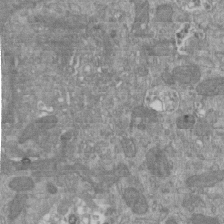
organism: Mouse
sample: ED-1 cell nuclei; centrioles